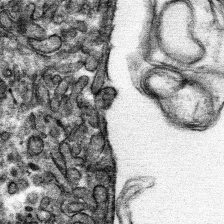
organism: Mouse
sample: Mouse hepatocytes